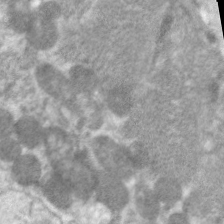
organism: C. elegans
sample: Pharynx